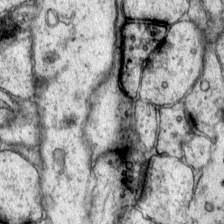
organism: Mouse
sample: Primary visual cortex